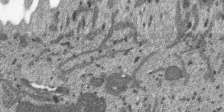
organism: Human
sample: Lung epithelial cells infected with SARS-CoV-2